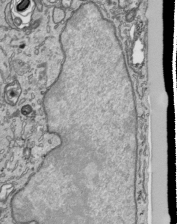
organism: Human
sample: Mitochondria in HCT116 cells